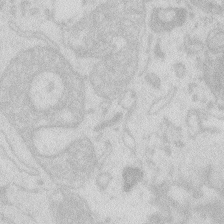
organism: Zebrafish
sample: Macrophage